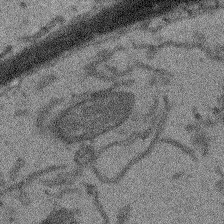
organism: Arabidopsis thaliana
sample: Root tip